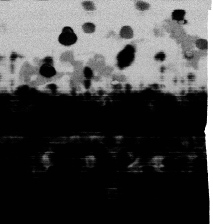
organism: Human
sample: HIV infected U937 cells